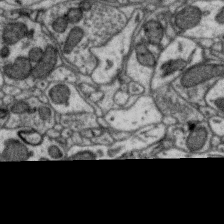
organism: Zebra finch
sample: Brain